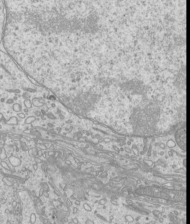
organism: Mouse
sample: Cilia; mouse epididymis